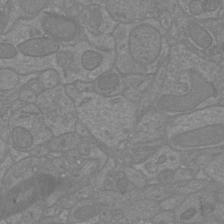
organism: Mouse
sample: Cortical neurons